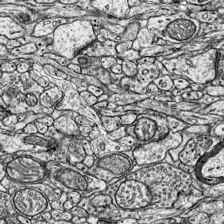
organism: Mouse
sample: Visual Cortex